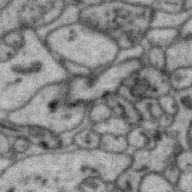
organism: Zebra finch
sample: Brain